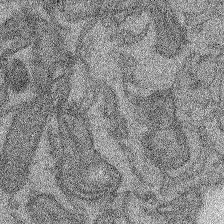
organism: Human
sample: HeLa cells